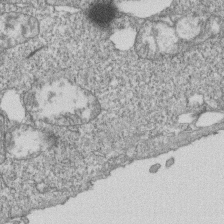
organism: Human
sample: HeLa cell HIV synapse